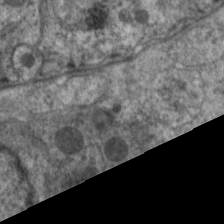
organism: C. elegans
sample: Pharynx